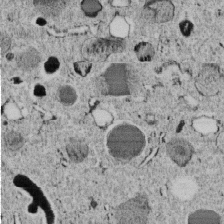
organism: C. elegans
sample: C. elegans embryo early stage